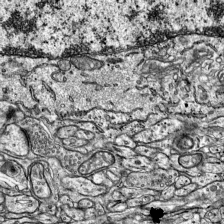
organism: Mouse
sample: Visual Cortex